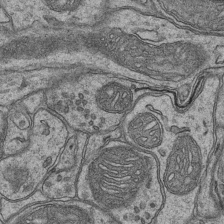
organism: Mouse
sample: CA1 Hippocampus